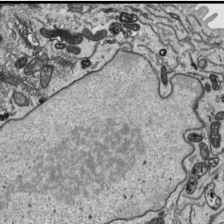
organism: Human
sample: Mitochondria in HCT116 cells